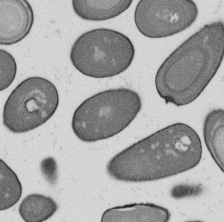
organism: B. subtilis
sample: Bacterial spore